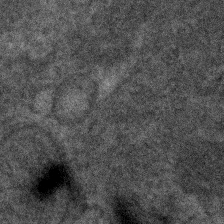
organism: Human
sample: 1205lu cells